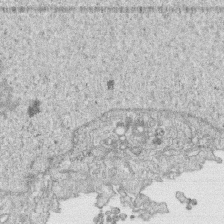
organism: Human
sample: HeLa cell HIV synapse